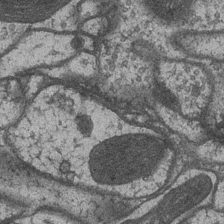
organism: Drosophila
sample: Optic medulla